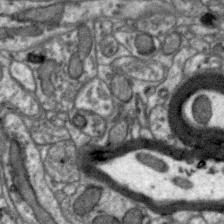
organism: Zebra finch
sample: Brain